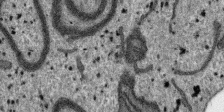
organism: Human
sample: Lung epithelial cells, uninfected (mock) control